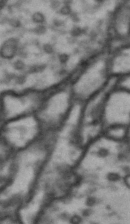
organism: Drosophila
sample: Brain